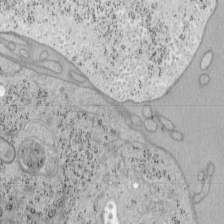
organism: Mouse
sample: OT-I killer T cells with ID8 ovarian cancer cells